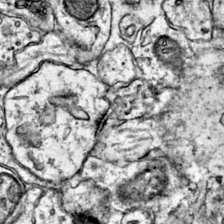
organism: Mouse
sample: Primary visual cortex